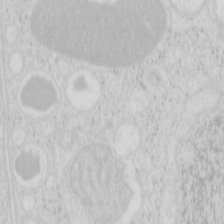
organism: Mouse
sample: Pancreas